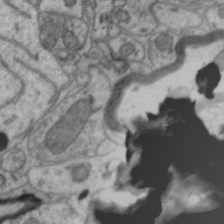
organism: Zebra finch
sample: Brain